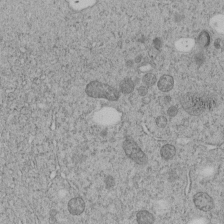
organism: C. elegans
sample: C. elegans embryo early stage